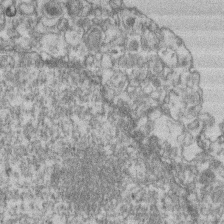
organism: Mouse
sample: T cell stromal cell synapse